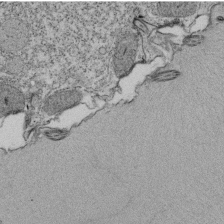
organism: Tetrahymena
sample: Cilia in tetrahymena